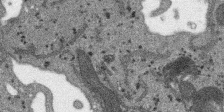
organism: Human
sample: Lung epithelial cells infected with SARS-CoV-2